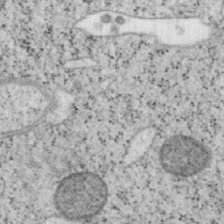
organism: Mouse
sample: OT-I killer T cells with ID8 ovarian cancer cells